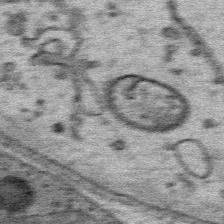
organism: Mouse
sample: Mouse Salivary gland